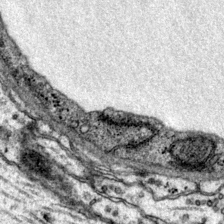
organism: Mouse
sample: Primary visual cortex